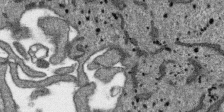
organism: Human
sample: Lung epithelial cells, uninfected (mock) control